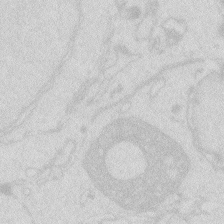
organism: Zebrafish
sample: Macrophage